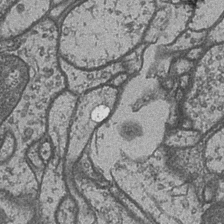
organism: Drosophila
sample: Optic medulla